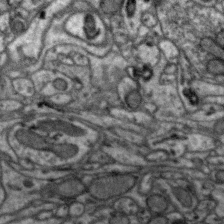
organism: Zebra finch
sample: Brain